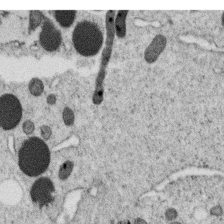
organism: C. elegans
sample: C. elegans oocyte; sperm cells